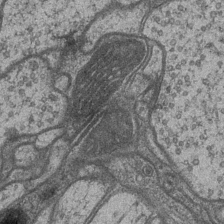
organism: Drosophila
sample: Optic medulla